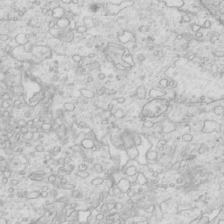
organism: Mouse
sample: Multiciliated cells